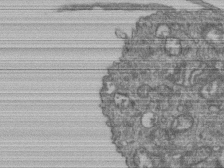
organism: Human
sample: Retinal organoid Rod and Cone cells